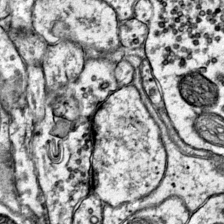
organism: Mouse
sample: Primary visual cortex